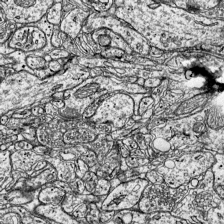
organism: Mouse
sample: Visual Cortex